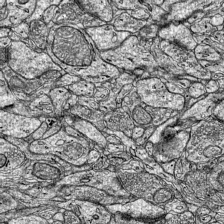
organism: Mouse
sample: Visual Cortex